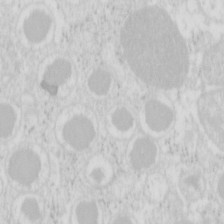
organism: Mouse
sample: Pancreas